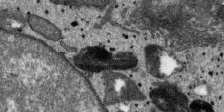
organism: Human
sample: Lung epithelial cells, uninfected (mock) control